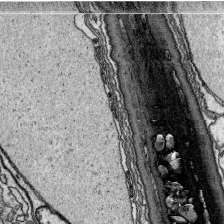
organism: Platynereis dumerilii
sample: Parapodia